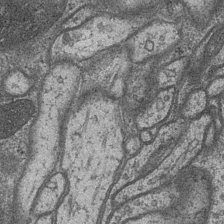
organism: Drosophila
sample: Optic medulla